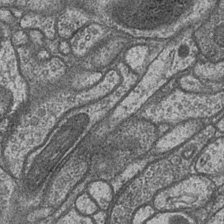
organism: Drosophila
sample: Optic medulla